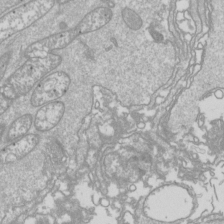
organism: Drosophila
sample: Cell division; meiosis; drosophila spermatocytes